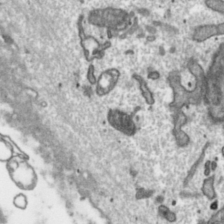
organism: Toxoplasma gondii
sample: Parasites in a vacuole inside a host cell